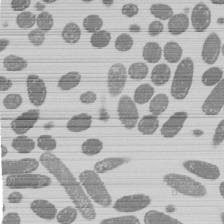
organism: E. coli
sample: Bacterial nucleoid